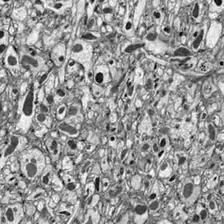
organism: Drosophila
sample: Optic lobe